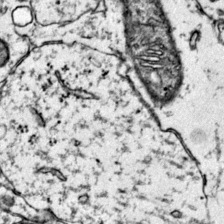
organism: Mouse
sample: Primary visual cortex